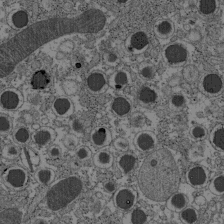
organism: C57BL Mouse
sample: Pancreatic islet